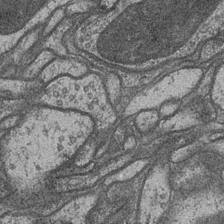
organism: Drosophila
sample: Optic medulla